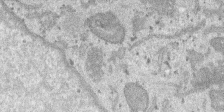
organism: Human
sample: Lung epithelial cells infected with SARS-CoV-2